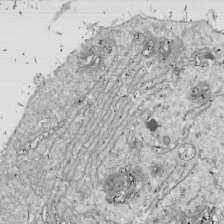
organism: Drosophila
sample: Cell division; meiosis; drosophila spermatocytes